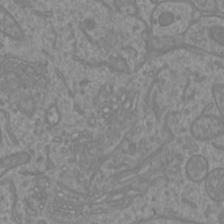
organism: Mouse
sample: Cortical neurons